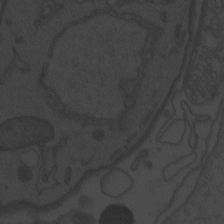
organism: Zebrafish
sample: Macrophage infected with Toxoplasma gondii